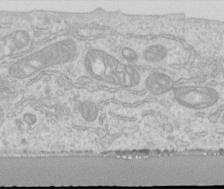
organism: Human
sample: Centriole in RPE cells